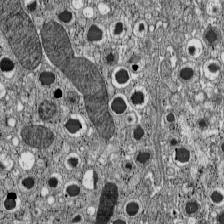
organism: C57BL Mouse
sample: Pancreatic islet